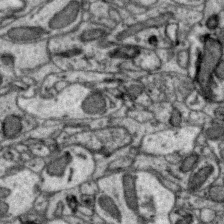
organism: Zebra finch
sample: Brain